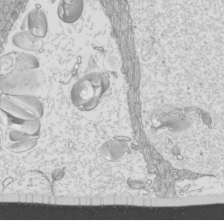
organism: Mouse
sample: Cilia; mouse epididymis